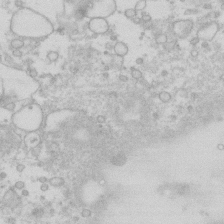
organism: Human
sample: Fibroblast cells